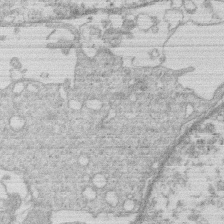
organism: Human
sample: Macrophage cells